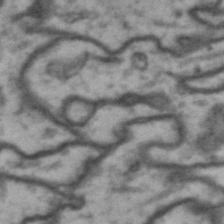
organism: Drosophila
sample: Brain